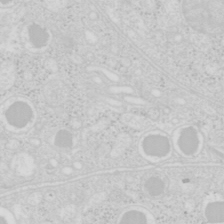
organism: Mouse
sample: Pancreas